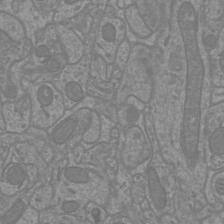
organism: Mouse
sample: Cortical neurons